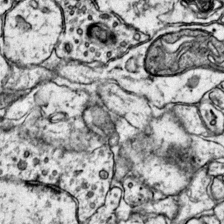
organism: Mouse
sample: Primary visual cortex